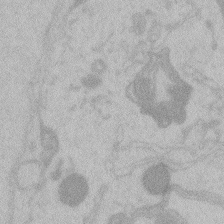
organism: Zebrafish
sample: Macrophage infected with Toxoplasma gondii